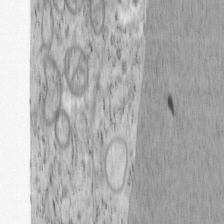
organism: Human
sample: HeLa cells